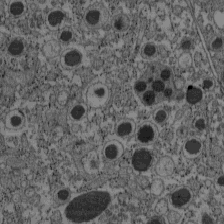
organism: C57BL Mouse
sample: Pancreatic islet